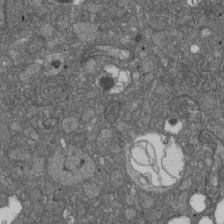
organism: Drosophila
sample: Nephrocyte